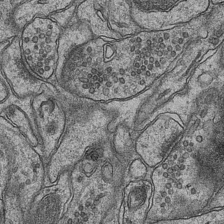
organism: Mouse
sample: CA1 Hippocampus